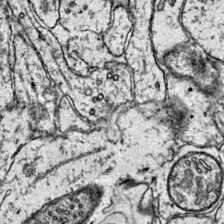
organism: Mouse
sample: Primary visual cortex